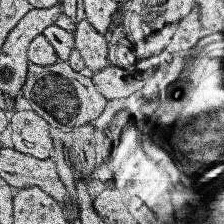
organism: Human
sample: Temporal Lobe